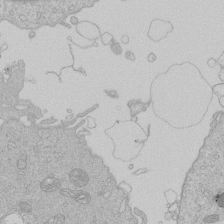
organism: Human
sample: Macrophage cells